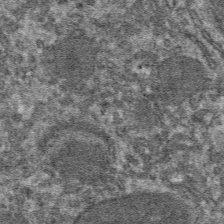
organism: Mouse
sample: Mouse hepatocytes